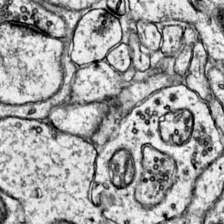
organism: Mouse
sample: Primary visual cortex